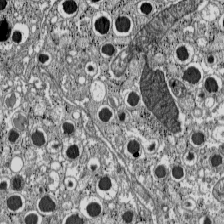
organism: C57BL Mouse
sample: Pancreatic islet